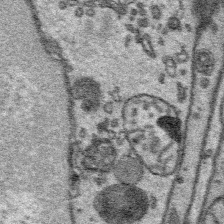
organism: Platynereis dumerilii